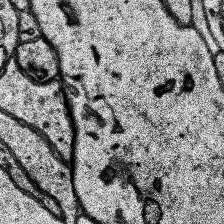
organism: Human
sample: Temporal Lobe